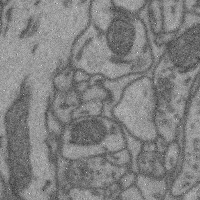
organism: Mouse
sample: Cerebral cortex